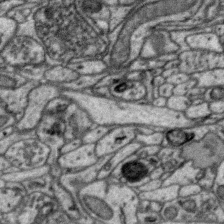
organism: Zebra finch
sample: Brain